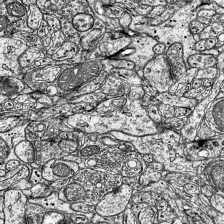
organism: Mouse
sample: Visual Cortex